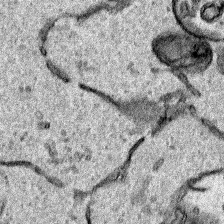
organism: Human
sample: Mitochondria in HCT116 cells